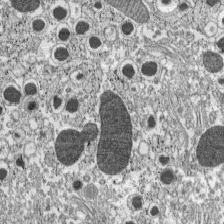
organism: C57BL Mouse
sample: Pancreatic islet